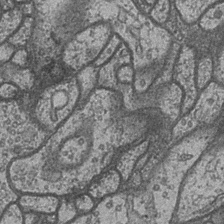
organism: Drosophila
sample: Optic medulla